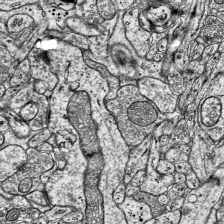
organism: Mouse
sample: Visual Cortex